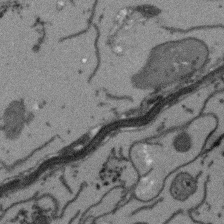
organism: Arabidopsis thaliana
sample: Root tip